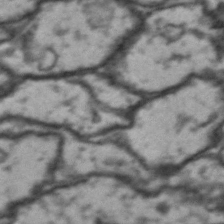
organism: Drosophila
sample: Brain